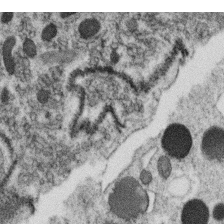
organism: C. elegans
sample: C. elegans oocyte; sperm cells